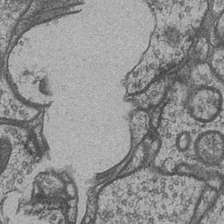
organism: Drosophila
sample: Optic medulla